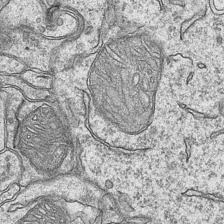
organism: Mouse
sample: CA1 Hippocampus